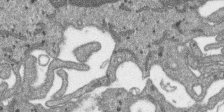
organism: Human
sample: Lung epithelial cells infected with SARS-CoV-2